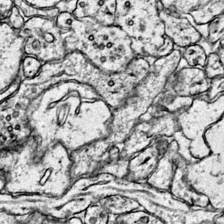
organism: Mouse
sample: Primary visual cortex